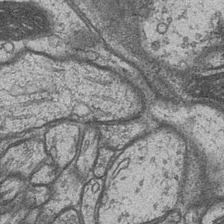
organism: Drosophila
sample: Optic medulla